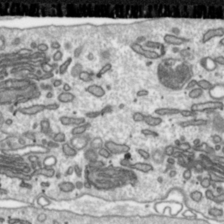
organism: Toxoplasma gondii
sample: Parasites in a vacuole inside a host cell